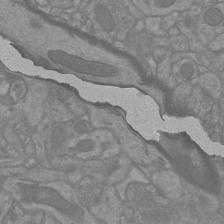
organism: Mouse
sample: Cortical neurons